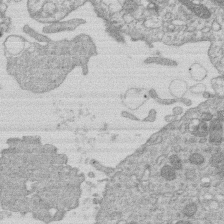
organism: Human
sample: Macrophage cells